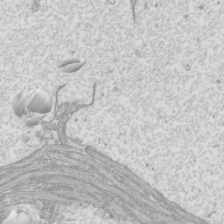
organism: Mouse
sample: Cilia; mouse epididymis